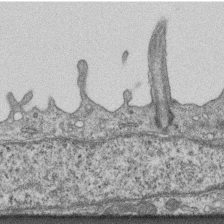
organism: Mouse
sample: Centriole in ependymal cells